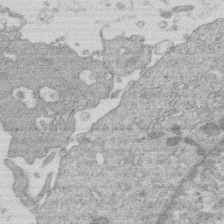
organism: Human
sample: Macrophage cells